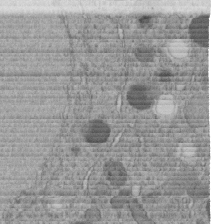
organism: C. elegans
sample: C. elegans embryo early stage